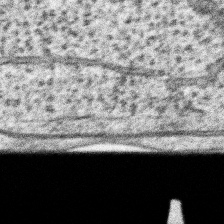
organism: Human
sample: HeLa cells